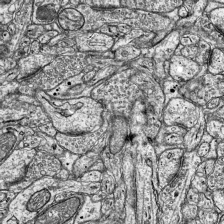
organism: Mouse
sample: Visual Cortex